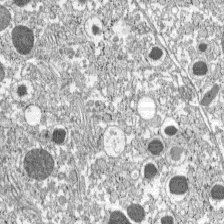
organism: C57BL Mouse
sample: Pancreatic islet